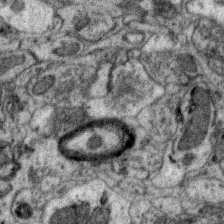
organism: Zebra finch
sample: Brain